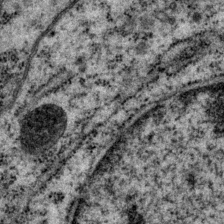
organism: P. pacificus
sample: Pharynx